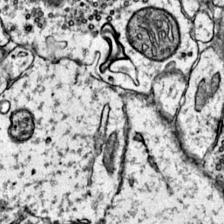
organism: Mouse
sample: Primary visual cortex